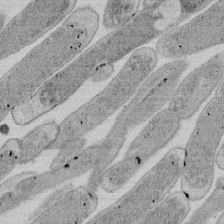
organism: E. coli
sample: Bacterial nucleoid